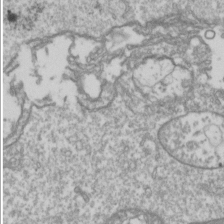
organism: Drosophila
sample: Cell division; meiosis; drosophila spermatocytes